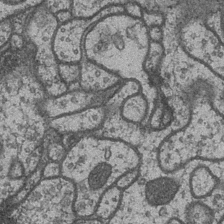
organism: Drosophila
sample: Optic medulla